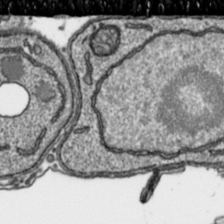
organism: Toxoplasma gondii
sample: Parasites in a vacuole inside a host cell